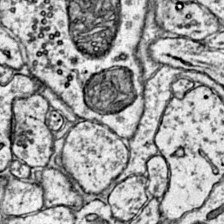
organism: Mouse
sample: Primary visual cortex